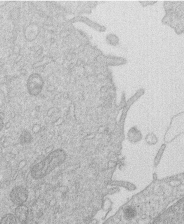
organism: Human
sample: Macrophage cells